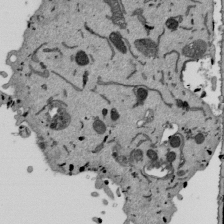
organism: Mouse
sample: ED-1 cell nuclei; centrioles